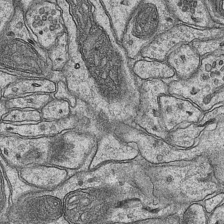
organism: Mouse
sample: CA1 Hippocampus